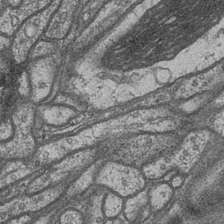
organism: Drosophila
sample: Optic medulla